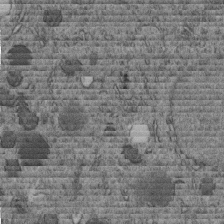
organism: C. elegans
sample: C. elegans embryo early stage